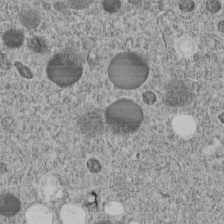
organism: C. elegans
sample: C. elegans embryo early stage